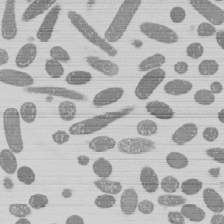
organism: E. coli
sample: Bacterial nucleoid